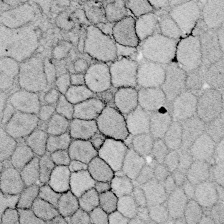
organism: Zebrafish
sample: Whole-Brain